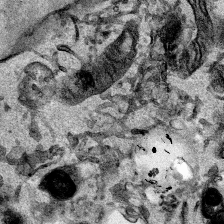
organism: Mouse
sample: Cancer cell death in ED-1 cells